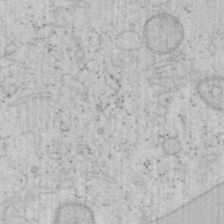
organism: Human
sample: HeLa cells